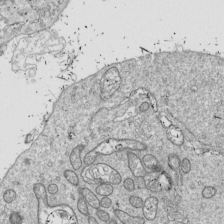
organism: Drosophila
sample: Cell division; meiosis; drosophila spermatocytes